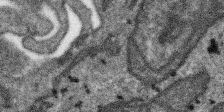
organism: Human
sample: Lung epithelial cells infected with SARS-CoV-2